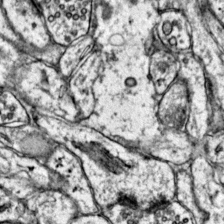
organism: Mouse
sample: Primary visual cortex